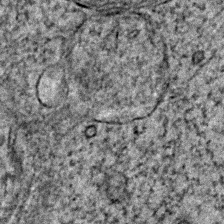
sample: Trachea